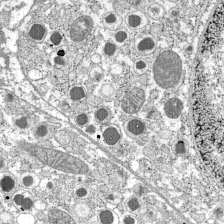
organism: C57BL Mouse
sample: Pancreatic islet